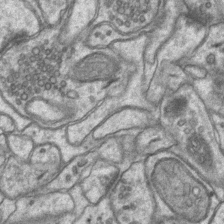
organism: Mouse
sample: CA1 Hippocampus